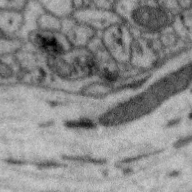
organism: Zebra finch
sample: Brain